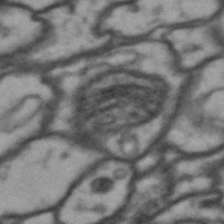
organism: Drosophila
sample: Brain